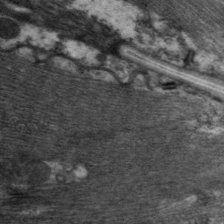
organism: C. elegans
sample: Pharynx